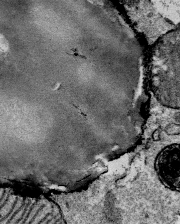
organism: Mouse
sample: Mouse Salivary gland